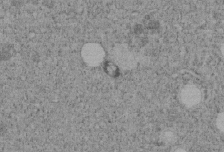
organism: C. elegans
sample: C. elegans embryo early stage